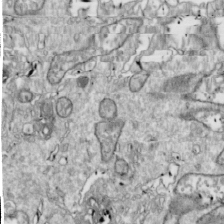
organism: Drosophila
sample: Cell division; meiosis; drosophila spermatocytes